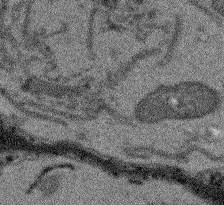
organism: Arabidopsis thaliana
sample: Root tip